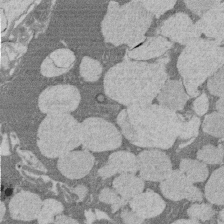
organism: Rat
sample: Salivary granule